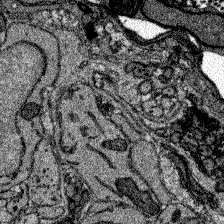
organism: Zebrafish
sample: Larval olfactory bulb